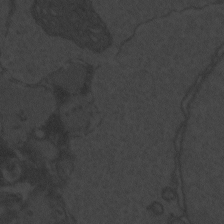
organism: Zebrafish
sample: Macrophage infected with Toxoplasma gondii